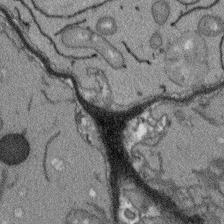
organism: Arabidopsis thaliana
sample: Root tip